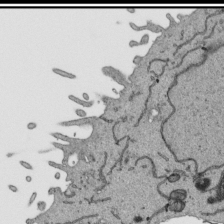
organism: Human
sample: Mitochondria in HCT116 cells